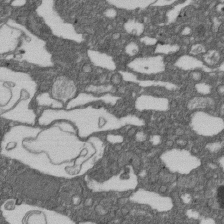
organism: Drosophila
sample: Nephrocyte